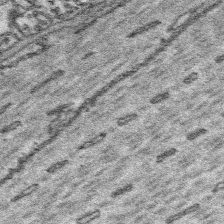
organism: Platynereis dumerilii